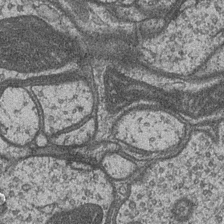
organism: Drosophila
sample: Optic medulla